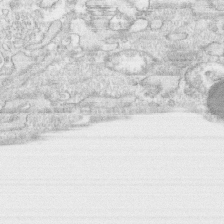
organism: Human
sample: CRL-1474